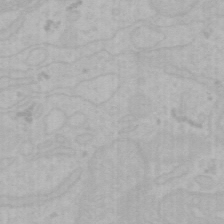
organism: Mouse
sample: Choroid plexus